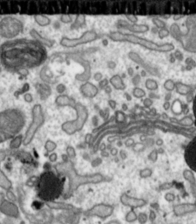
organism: Toxoplasma gondii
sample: Parasites in a vacuole inside a host cell